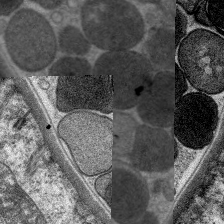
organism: C. elegans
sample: Pharynx